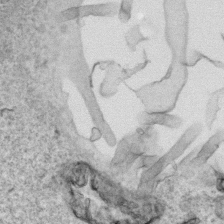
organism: Human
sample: Mitochondria in HCT116 cells